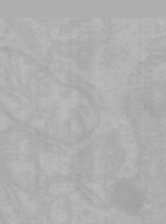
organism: Mouse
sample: Choroid plexus